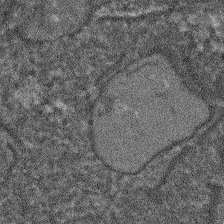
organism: Arabidopsis thaliana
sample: Root tip